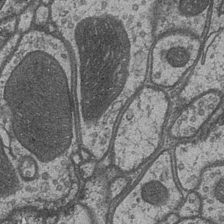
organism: Drosophila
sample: Optic medulla